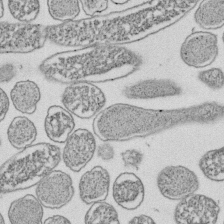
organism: E. coli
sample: Bacterial nucleoid